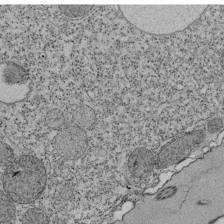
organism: Tetrahymena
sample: Cilia in tetrahymena